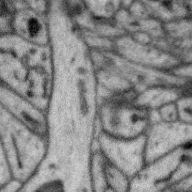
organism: Zebra finch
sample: Brain